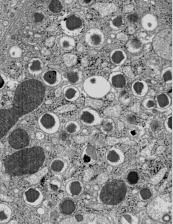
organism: C57BL Mouse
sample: Pancreatic islet